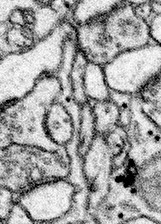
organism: Mouse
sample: Somatosensory cortex neuropil